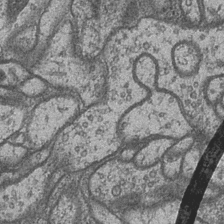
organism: Drosophila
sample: Optic medulla